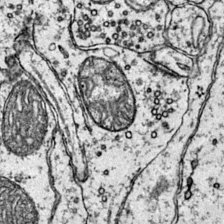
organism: Mouse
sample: Primary visual cortex